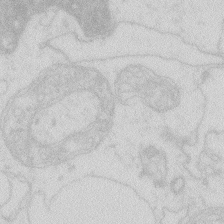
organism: Zebrafish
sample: Macrophage